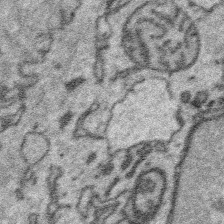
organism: Platynereis dumerilii